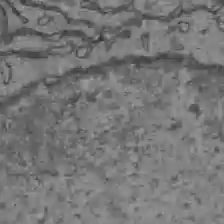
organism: C57BL Mouse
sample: Liver